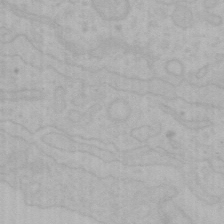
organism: Mouse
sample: Choroid plexus